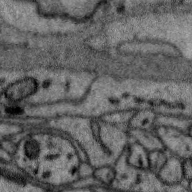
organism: Zebra finch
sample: Brain